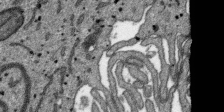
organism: Human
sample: Lung epithelial cells, uninfected (mock) control